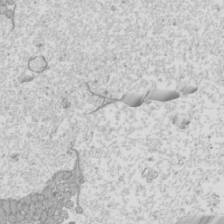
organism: Mouse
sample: Cilia; mouse epididymis